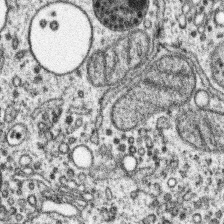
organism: Human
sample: HeLa cells